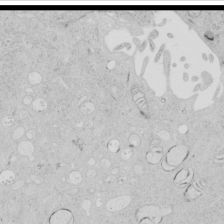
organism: Human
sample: Mitochondria in HCT116 cells